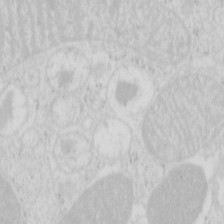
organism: Mouse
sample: Pancreas